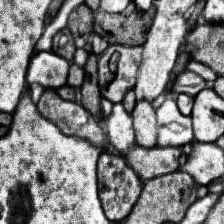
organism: Human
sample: Temporal Lobe